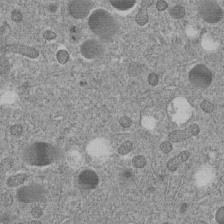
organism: C. elegans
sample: C. elegans embryo early stage